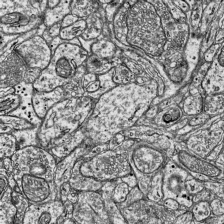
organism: Mouse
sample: Visual Cortex